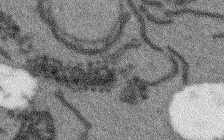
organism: Arabidopsis thaliana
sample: Root tip